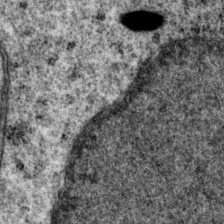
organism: P. pacificus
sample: Pharynx